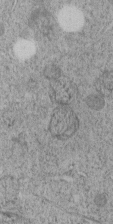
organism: C. elegans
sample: C. elegans embryo early stage